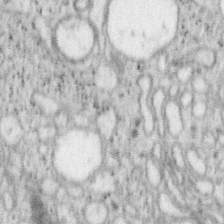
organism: Mouse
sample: OT-I killer T cells with ID8 ovarian cancer cells